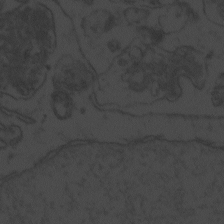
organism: Zebrafish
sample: Macrophage infected with Toxoplasma gondii